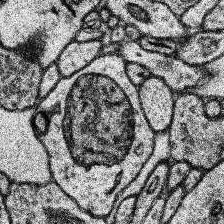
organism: Human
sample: Temporal Lobe